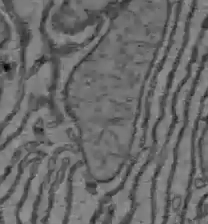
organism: C57BL Mouse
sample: Liver